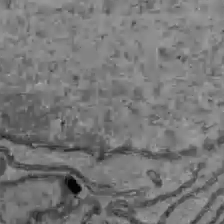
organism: C57BL Mouse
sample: Liver